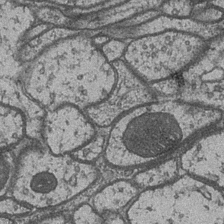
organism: Drosophila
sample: Optic medulla